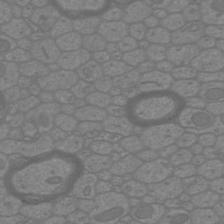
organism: Mouse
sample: Cortical neurons